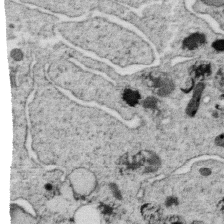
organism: C. elegans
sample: C. elegans oocyte; sperm cells